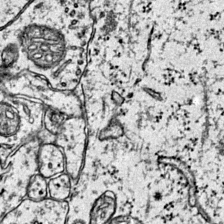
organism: Mouse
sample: Primary visual cortex